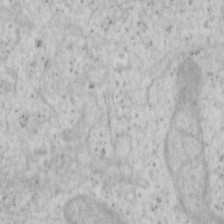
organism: Human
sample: HeLa cells